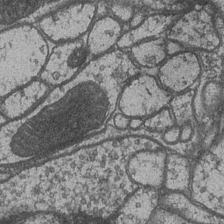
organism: Drosophila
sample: Optic medulla